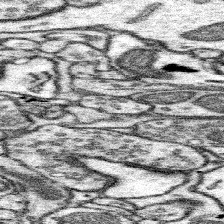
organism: Mouse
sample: Somatosensory cortex neuropil